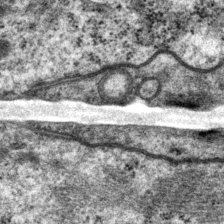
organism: P. pacificus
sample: Pharynx